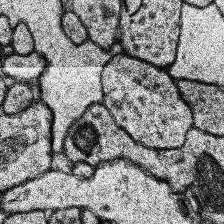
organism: Human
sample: Temporal Lobe